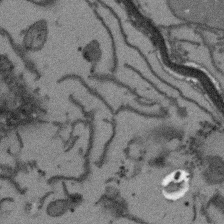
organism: Arabidopsis thaliana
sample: Root tip